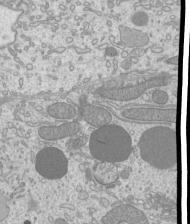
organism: Mouse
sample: Cilia; mouse epididymis